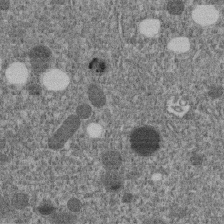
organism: C. elegans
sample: C. elegans embryo early stage